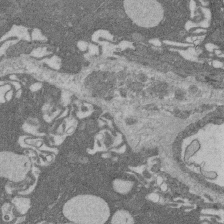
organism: Rat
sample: Salivary granule